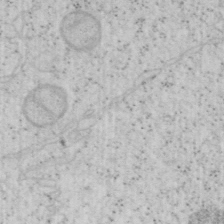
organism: Human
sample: HeLa cells